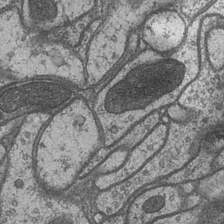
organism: Drosophila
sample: Optic medulla